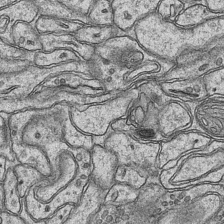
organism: Mouse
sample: CA1 Hippocampus